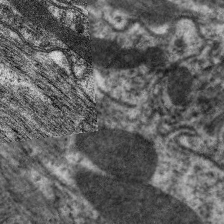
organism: C. elegans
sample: Pharynx